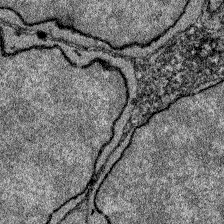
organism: Zebrafish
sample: Larval olfactory bulb